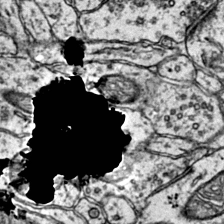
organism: Mouse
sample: Primary visual cortex